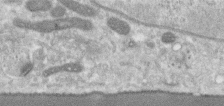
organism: Human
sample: Centriole in RPE cells